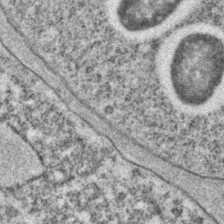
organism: C. elegans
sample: C. elegans embryo